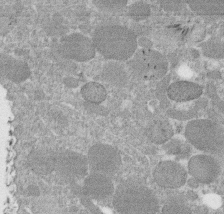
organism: C. elegans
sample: C. elegans embryo early stage